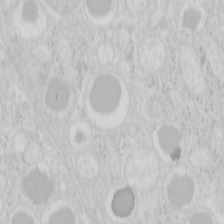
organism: Mouse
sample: Pancreas